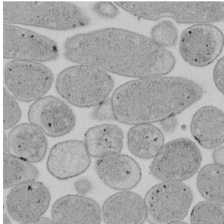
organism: E. coli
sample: Bacterial nucleoid